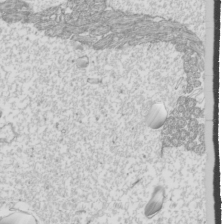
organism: Mouse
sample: Cilia; mouse epididymis